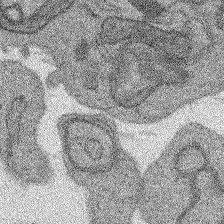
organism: Human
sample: HeLa cells